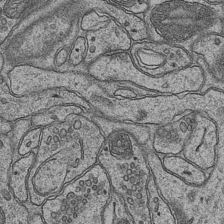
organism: Mouse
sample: CA1 Hippocampus